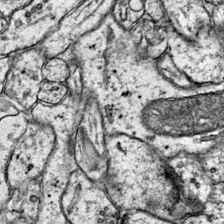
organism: Mouse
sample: Primary visual cortex